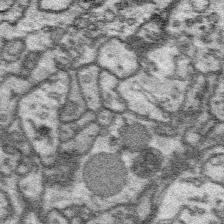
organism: Platynereis dumerilii